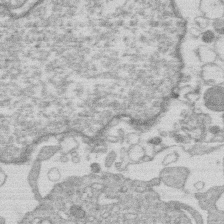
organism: Human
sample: Macrophage cells